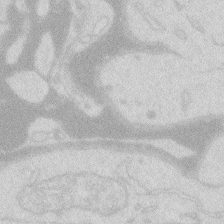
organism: Zebrafish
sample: Macrophage